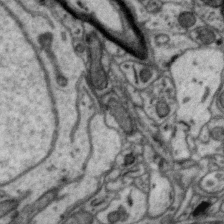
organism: Zebra finch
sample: Brain